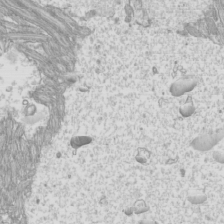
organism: Mouse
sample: Cilia; mouse epididymis